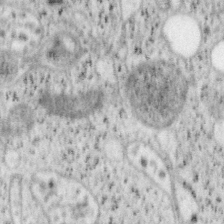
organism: Mouse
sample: OT-I killer T cells with ID8 ovarian cancer cells